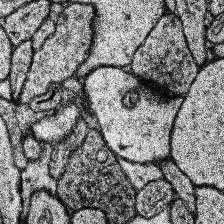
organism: Human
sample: Temporal Lobe